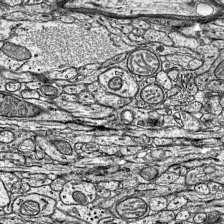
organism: Mouse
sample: Visual Cortex